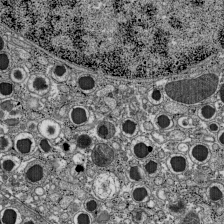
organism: C57BL Mouse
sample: Pancreatic islet